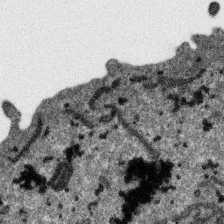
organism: Human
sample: Lung epithelial cells infected with SARS-CoV-2